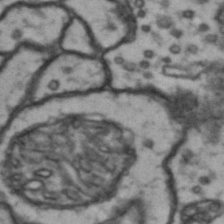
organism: Drosophila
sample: Brain